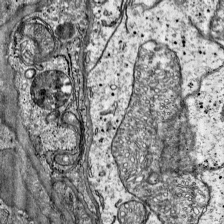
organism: Mouse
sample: Visual Cortex